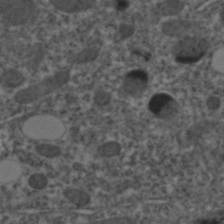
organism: C. elegans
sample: C. elegans embryo